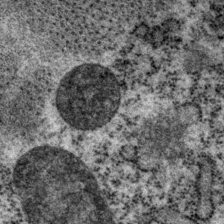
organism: P. pacificus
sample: Pharynx